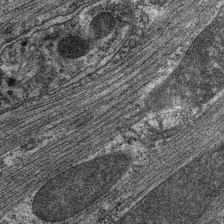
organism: C. elegans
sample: Pharynx